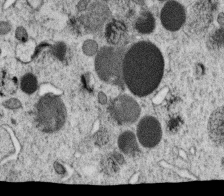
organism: C. elegans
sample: C. elegans oocyte; sperm cells